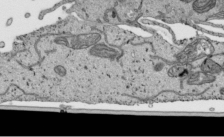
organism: Human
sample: Mitochondria in HCT116 cells